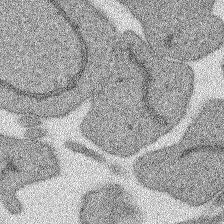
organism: Human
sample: HeLa cells